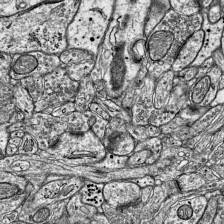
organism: Mouse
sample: Visual Cortex